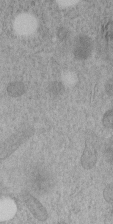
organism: C. elegans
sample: C. elegans embryo early stage